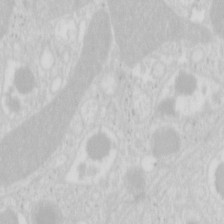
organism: Mouse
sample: Pancreas